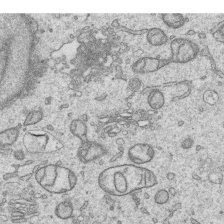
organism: Human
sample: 1205lu cells